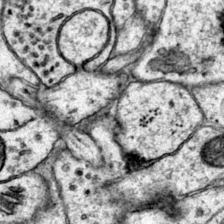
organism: Mouse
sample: Primary visual cortex